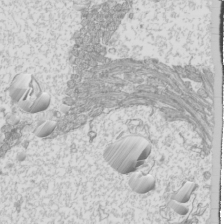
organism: Mouse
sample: Cilia; mouse epididymis